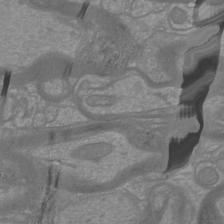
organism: Mouse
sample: Cortical neurons